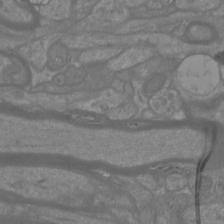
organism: Mouse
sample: Cortical neurons